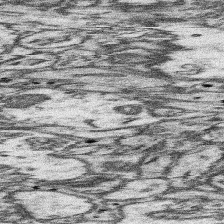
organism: Mouse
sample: Somatosensory cortex neuropil